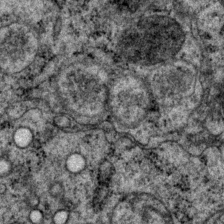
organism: P. pacificus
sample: Pharynx